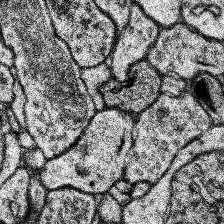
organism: Human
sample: Temporal Lobe